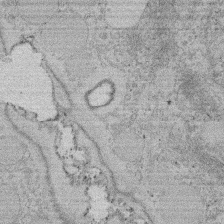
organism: Rat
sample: Salivary granule